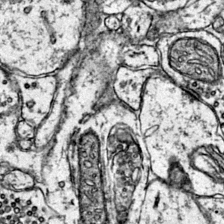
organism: Mouse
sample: Primary visual cortex